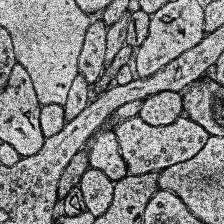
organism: Human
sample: Temporal Lobe